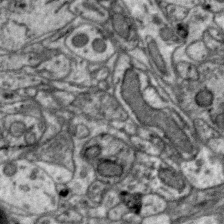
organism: Zebra finch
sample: Brain